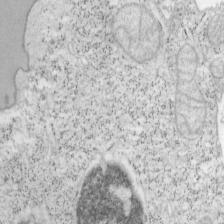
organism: Mouse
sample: OT-I killer T cells with ID8 ovarian cancer cells